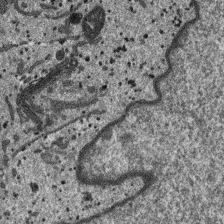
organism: Human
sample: Lung epithelial cells infected with SARS-CoV-2